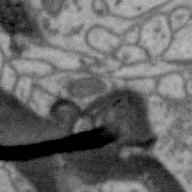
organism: Zebra finch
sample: Brain